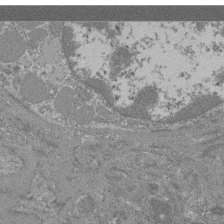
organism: Mouse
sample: Glomerulus